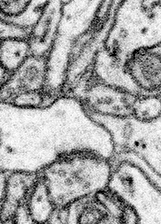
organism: Mouse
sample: Somatosensory cortex neuropil